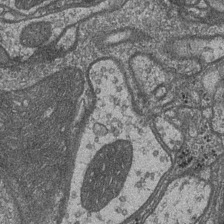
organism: Drosophila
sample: Optic medulla